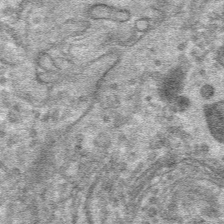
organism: Mouse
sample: Mouse hepatocytes